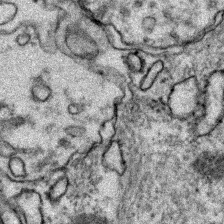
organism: Zebrafish